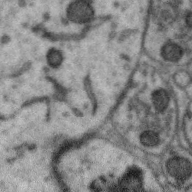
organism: Zebra finch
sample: Brain